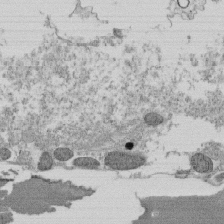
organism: Tetrahymena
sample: Cilia in tetrahymena